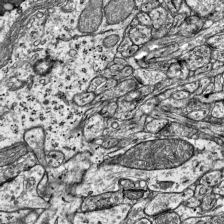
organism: Mouse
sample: Visual Cortex